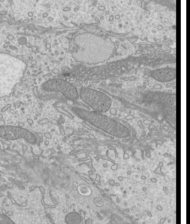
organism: Mouse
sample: Cilia; mouse epididymis